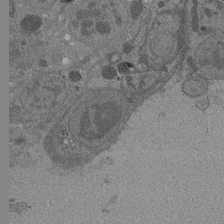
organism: Drosophila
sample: Antenna